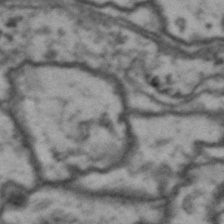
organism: Drosophila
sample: Brain